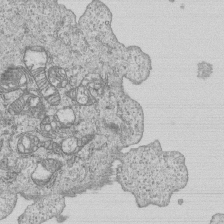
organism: Human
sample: MDA-MB-231 cells